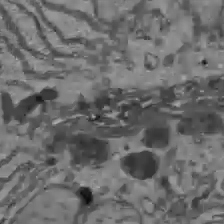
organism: C57BL Mouse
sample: Liver